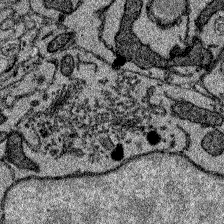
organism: Zebrafish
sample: Larval olfactory bulb